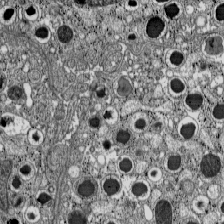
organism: C57BL Mouse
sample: Pancreatic islet